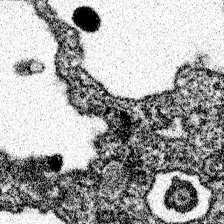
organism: Spongilla lacustris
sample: Neuroid cell